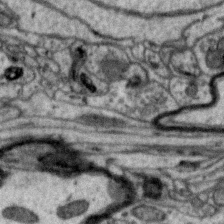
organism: Zebra finch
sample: Brain